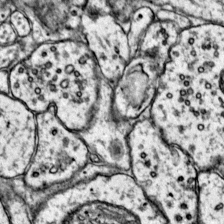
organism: Mouse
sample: Primary visual cortex